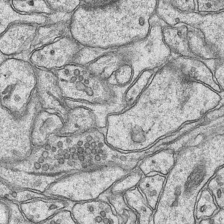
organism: Mouse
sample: CA1 Hippocampus